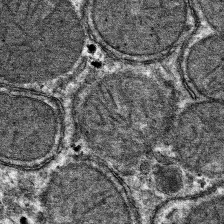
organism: Mouse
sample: Mouse hepatocytes